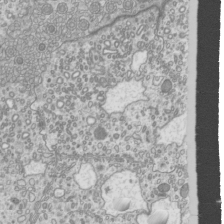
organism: Mouse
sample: Cilia; mouse epididymis